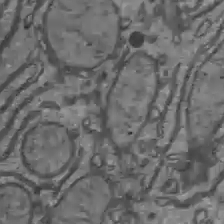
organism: C57BL Mouse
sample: Liver